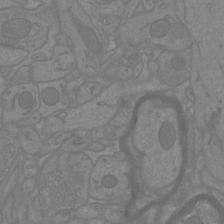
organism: Mouse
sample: Cortical neurons